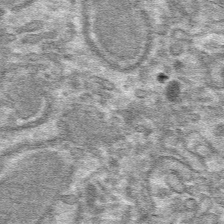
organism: Mouse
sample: Mouse hepatocytes